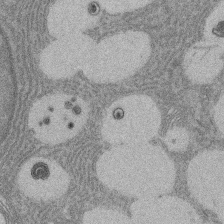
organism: Rat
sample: Salivary granule